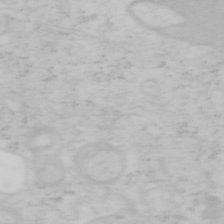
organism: Mouse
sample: OT-I killer T cells with ID8 ovarian cancer cells